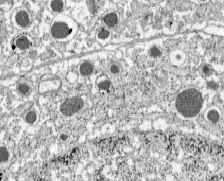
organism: C57BL Mouse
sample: Pancreatic islet